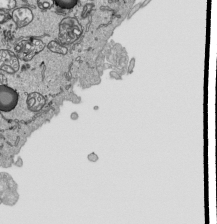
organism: Human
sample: Mitochondria in HCT116 cells